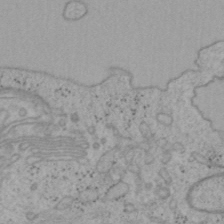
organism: Human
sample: HeLa cells